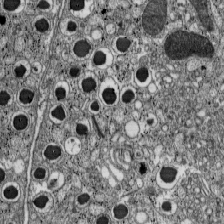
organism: C57BL Mouse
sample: Pancreatic islet